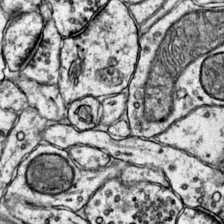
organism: Mouse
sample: Primary visual cortex